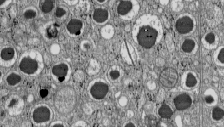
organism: C57BL Mouse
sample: Pancreatic islet